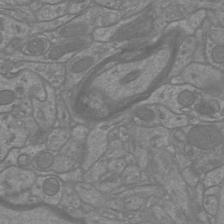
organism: Mouse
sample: Cortical neurons